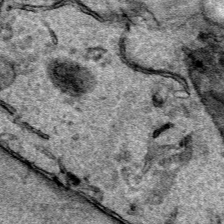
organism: Human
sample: Mitochondria in HCT116 cells